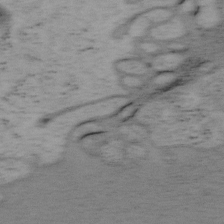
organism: Mouse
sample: OT-I killer T cells with ID8 ovarian cancer cells